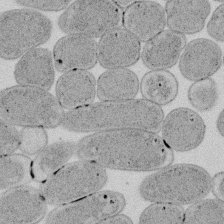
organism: E. coli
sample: Bacterial nucleoid